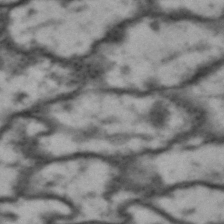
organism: Drosophila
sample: Brain